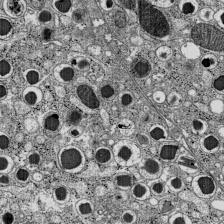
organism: C57BL Mouse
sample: Pancreatic islet